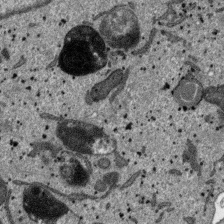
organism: Human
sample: Lung epithelial cells, uninfected (mock) control